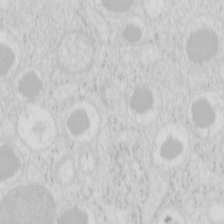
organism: Mouse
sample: Pancreas